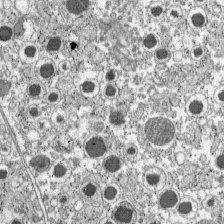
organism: C57BL Mouse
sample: Pancreatic islet